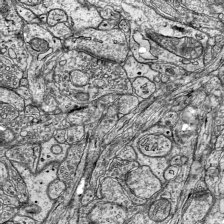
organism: Mouse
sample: Visual Cortex